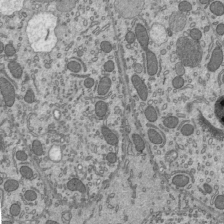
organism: Mouse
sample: Mouse epididymis efferent ductule cilia